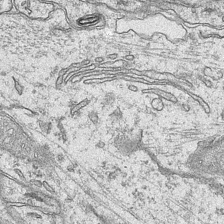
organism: Mouse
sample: CA1 Hippocampus